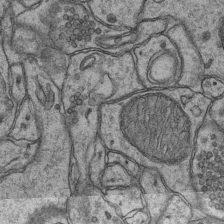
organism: Mouse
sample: CA1 Hippocampus